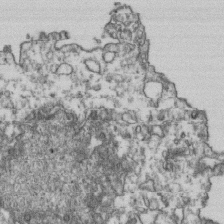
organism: Human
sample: Activated Jurkat CD4+ T cells